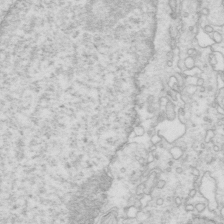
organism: Mouse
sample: Multiciliated cells